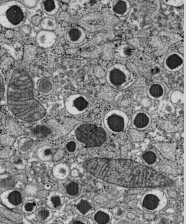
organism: C57BL Mouse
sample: Pancreatic islet